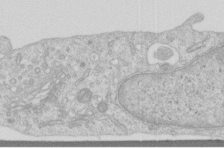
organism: Human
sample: Centriole in RPE cells